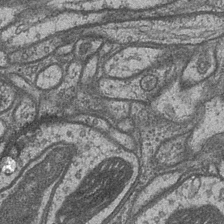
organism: Drosophila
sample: Optic medulla